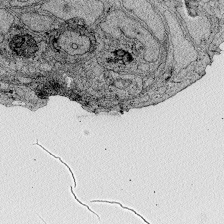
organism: Zebrafish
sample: Whole-Brain